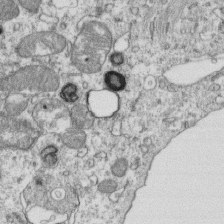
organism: Mouse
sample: Activated OT-1 CD8+ T cells